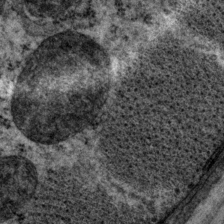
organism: P. pacificus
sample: Pharynx